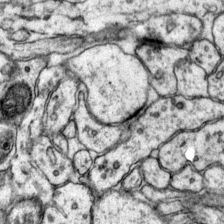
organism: Mouse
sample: Primary visual cortex